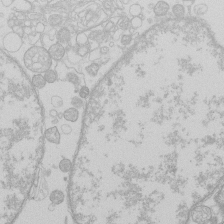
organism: Human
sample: Macrophage cells